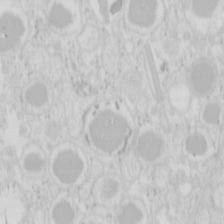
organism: Mouse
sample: Pancreas